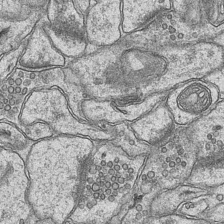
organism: Mouse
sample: CA1 Hippocampus